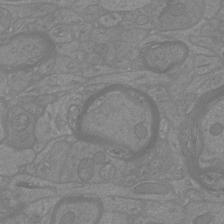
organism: Mouse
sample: Cortical neurons